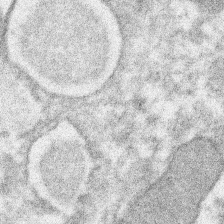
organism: Xenopus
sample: Cilia; centrioles in frog embryo cells